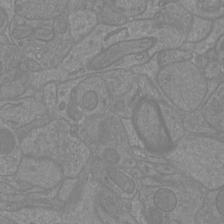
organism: Mouse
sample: Cortical neurons